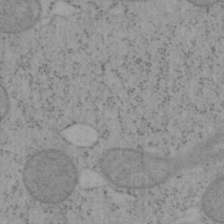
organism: Mouse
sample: OT-I killer T cells with ID8 ovarian cancer cells